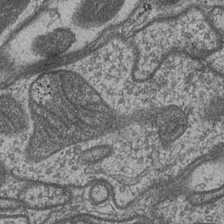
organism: Drosophila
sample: Optic medulla